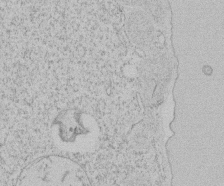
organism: Tetrahymena